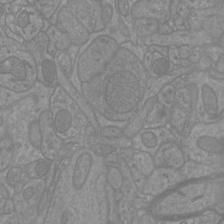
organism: Mouse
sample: Cortical neurons